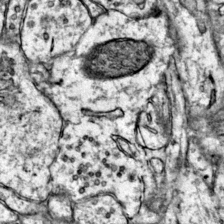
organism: Mouse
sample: Primary visual cortex